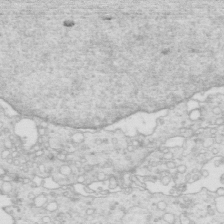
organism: Mouse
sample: Multiciliated cells